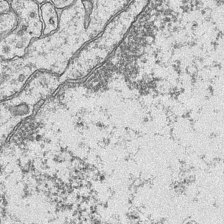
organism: Mouse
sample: CA1 Hippocampus